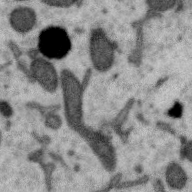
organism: Zebra finch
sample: Brain